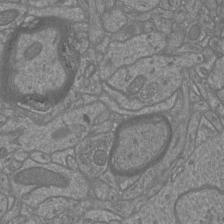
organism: Mouse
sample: Cortical neurons